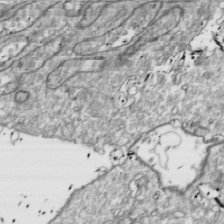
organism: Drosophila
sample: Cell division; meiosis; drosophila spermatocytes